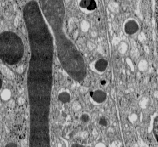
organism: C57BL Mouse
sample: Pancreatic islet